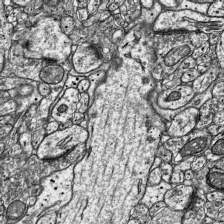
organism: Mouse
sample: Visual Cortex